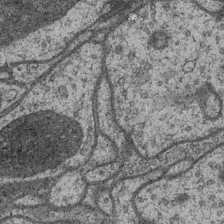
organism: Drosophila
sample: Optic medulla